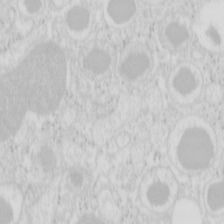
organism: Mouse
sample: Pancreas